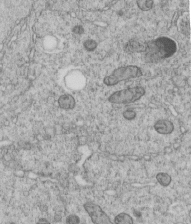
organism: C. elegans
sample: C. elegans embryo early stage